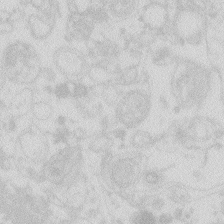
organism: Zebrafish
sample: Macrophage